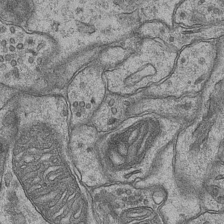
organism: Mouse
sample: CA1 Hippocampus